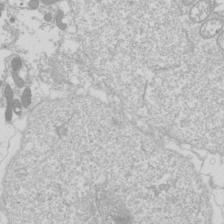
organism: Drosophila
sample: Cell division; meiosis; drosophila spermatocytes